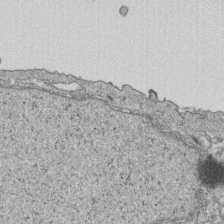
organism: Human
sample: HeLa cell HIV synapse